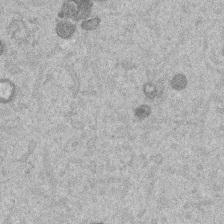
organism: Mouse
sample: Dividing mouse embryo 1 cell stage